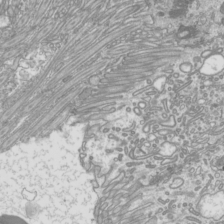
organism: Mouse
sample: Cilia; mouse epididymis